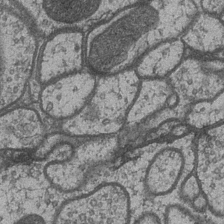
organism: Drosophila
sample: Optic medulla